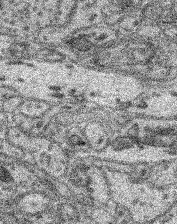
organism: Mouse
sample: Retina